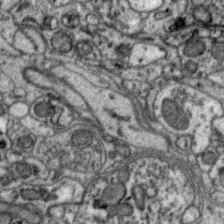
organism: Zebra finch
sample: Brain